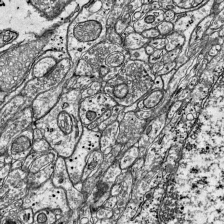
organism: Mouse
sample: Visual Cortex